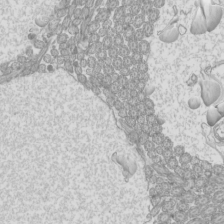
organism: Mouse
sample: Cilia; mouse epididymis